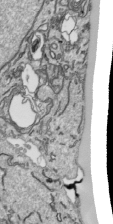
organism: Human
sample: Mitochondria in HCT116 cells